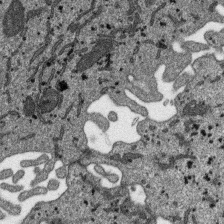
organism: Human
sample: Lung epithelial cells infected with SARS-CoV-2